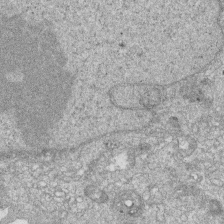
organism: Human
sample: HeLa cell HIV synapse